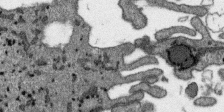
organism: Human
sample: Lung epithelial cells, uninfected (mock) control